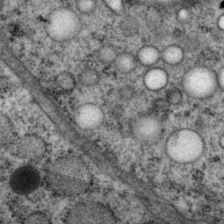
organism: P. pacificus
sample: Pharynx